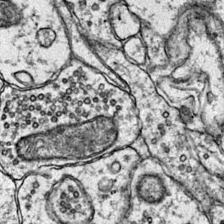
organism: Mouse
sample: Primary visual cortex